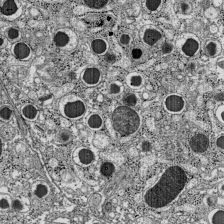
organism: C57BL Mouse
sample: Pancreatic islet